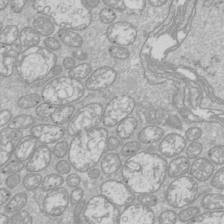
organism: Drosophila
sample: Cell division; meiosis; drosophila spermatocytes